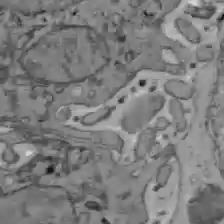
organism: C57BL Mouse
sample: Liver